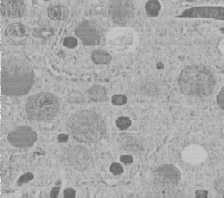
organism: C. elegans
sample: C. elegans embryo early stage